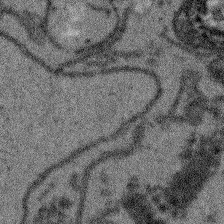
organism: Arabidopsis thaliana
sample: Root tip